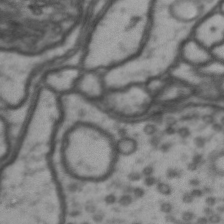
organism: Drosophila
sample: Brain